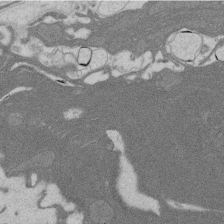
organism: Rat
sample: Salivary granule